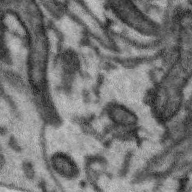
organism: Zebra finch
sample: Brain